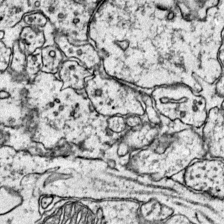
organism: Mouse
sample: Primary visual cortex